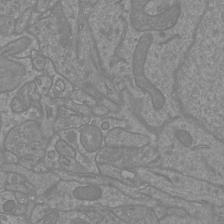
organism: Mouse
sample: Cortical neurons